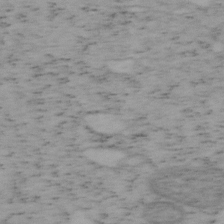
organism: Mouse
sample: OT-I killer T cells with ID8 ovarian cancer cells